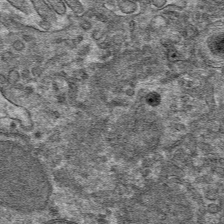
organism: Mouse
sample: Mouse hepatocytes